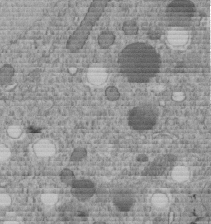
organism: C. elegans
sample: C. elegans embryo early stage